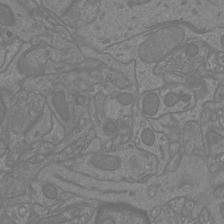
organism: Mouse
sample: Cortical neurons